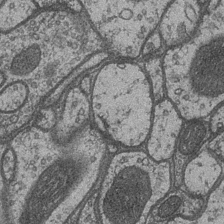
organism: Drosophila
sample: Optic medulla